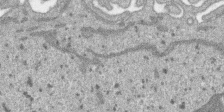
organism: Human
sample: Lung epithelial cells infected with SARS-CoV-2